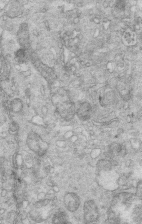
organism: Mouse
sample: Multiciliated cells